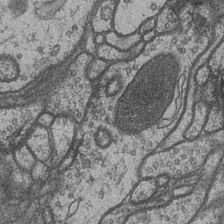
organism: Drosophila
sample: Optic medulla